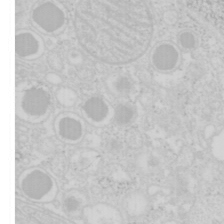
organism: Mouse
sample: Pancreas